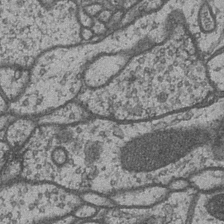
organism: Drosophila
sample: Optic medulla